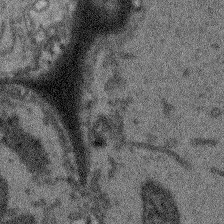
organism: Arabidopsis thaliana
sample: Root tip